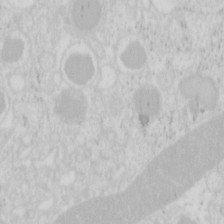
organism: Mouse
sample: Pancreas